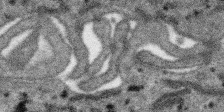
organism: Human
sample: Lung epithelial cells infected with SARS-CoV-2